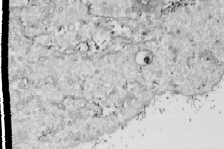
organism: Drosophila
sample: Cell division; meiosis; drosophila spermatocytes